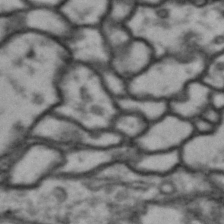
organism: Drosophila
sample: Brain